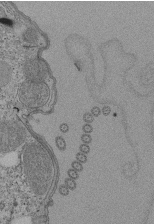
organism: Tetrahymena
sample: Cilia in tetrahymena